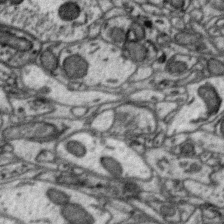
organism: Zebra finch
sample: Brain